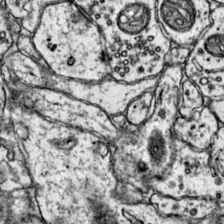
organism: Mouse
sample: Primary visual cortex